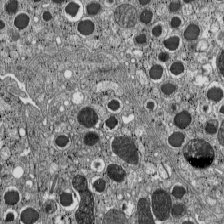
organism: C57BL Mouse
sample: Pancreatic islet